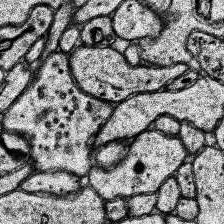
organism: Human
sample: Temporal Lobe